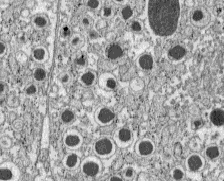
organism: C57BL Mouse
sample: Pancreatic islet